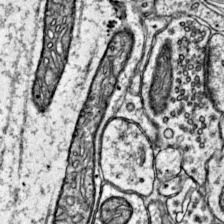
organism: Mouse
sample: Primary visual cortex